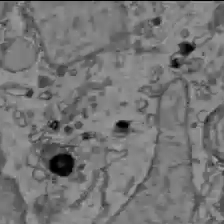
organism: C57BL Mouse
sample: Liver